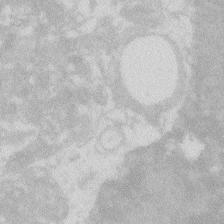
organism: Zebrafish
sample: Macrophage